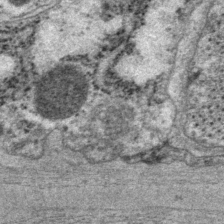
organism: P. pacificus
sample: Pharynx